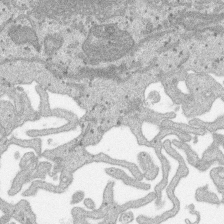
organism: Human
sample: Lung epithelial cells infected with SARS-CoV-2